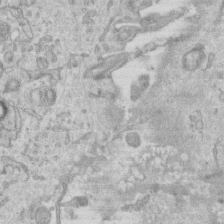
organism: Mouse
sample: Centriole in ependymal cells